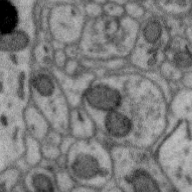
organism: Zebra finch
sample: Brain